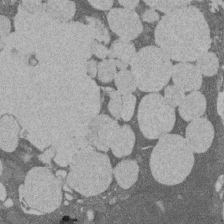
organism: Rat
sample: Salivary granule